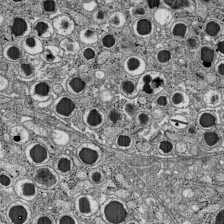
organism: C57BL Mouse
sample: Pancreatic islet